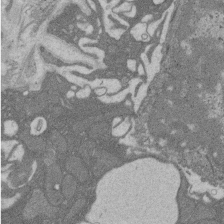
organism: Rat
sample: Salivary granule